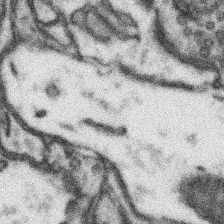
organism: Mouse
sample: Somatosensory cortex neuropil